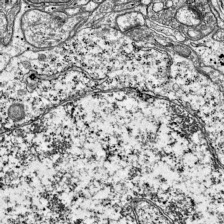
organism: Mouse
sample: Visual Cortex